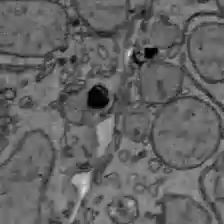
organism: C57BL Mouse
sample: Liver